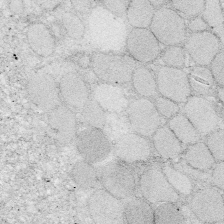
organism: Zebrafish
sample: Whole-Brain